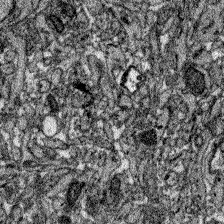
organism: Zebrafish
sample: Larval olfactory bulb